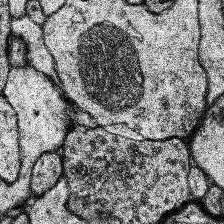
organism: Human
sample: Temporal Lobe